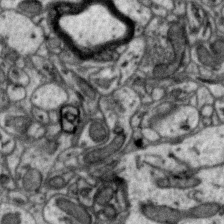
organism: Zebra finch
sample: Brain